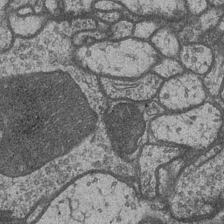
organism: Drosophila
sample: Optic medulla